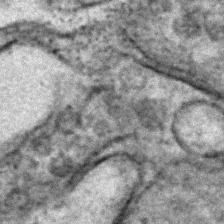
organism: C. elegans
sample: C. elegans embryo